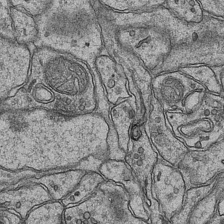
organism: Mouse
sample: CA1 Hippocampus